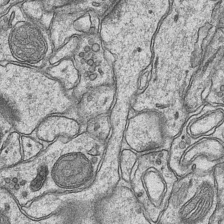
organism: Mouse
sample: CA1 Hippocampus